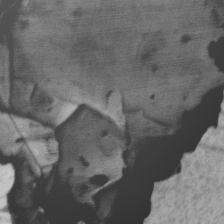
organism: Zebra finch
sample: Brain